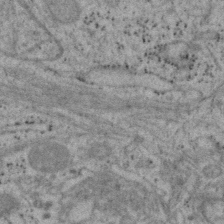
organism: Human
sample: HeLa cells